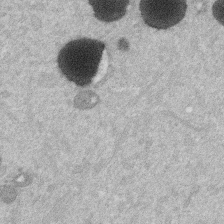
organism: Mouse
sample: Dividing mouse embryo 1 cell stage